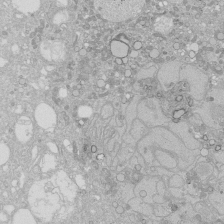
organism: Human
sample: Caco-2 cells